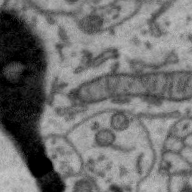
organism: Zebra finch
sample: Brain